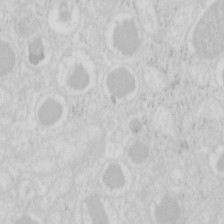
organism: Mouse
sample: Pancreas